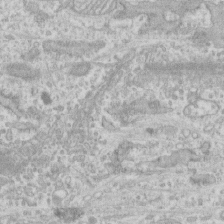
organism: Human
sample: CRL-1474